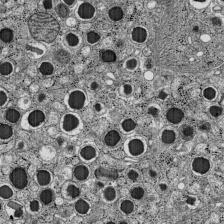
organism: C57BL Mouse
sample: Pancreatic islet